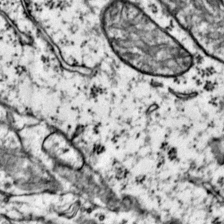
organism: Mouse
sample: Primary visual cortex